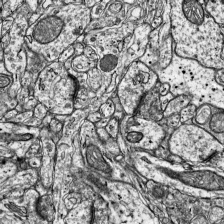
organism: Mouse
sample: Visual Cortex